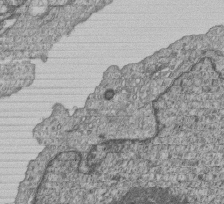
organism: Human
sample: MDA-MB-231 cells